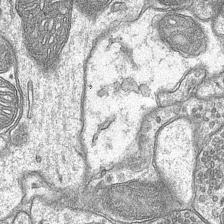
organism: Mouse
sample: CA1 Hippocampus